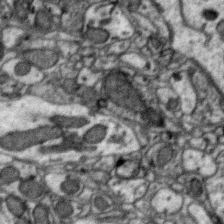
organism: Zebra finch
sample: Brain